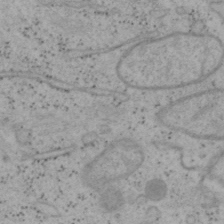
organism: Human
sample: HeLa cells